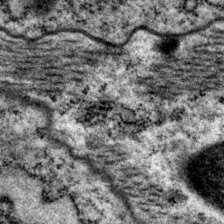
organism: P. pacificus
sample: Pharynx